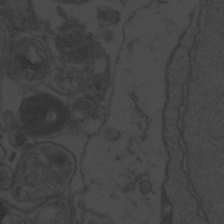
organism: Zebrafish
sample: Macrophage infected with Toxoplasma gondii